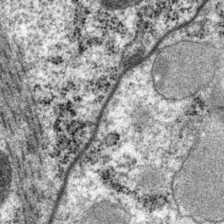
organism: P. pacificus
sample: Pharynx